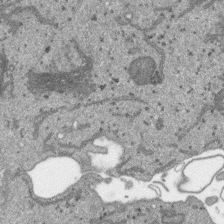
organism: Human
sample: Lung epithelial cells infected with SARS-CoV-2